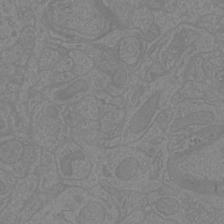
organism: Mouse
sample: Cortical neurons